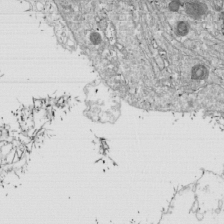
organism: Drosophila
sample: Cell division; meiosis; drosophila spermatocytes